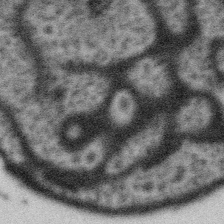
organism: Gemmata obscuriglobus